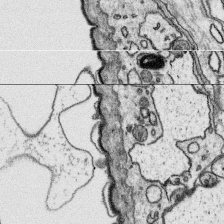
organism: Platynereis dumerilii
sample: Parapodia